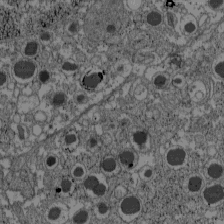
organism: C57BL Mouse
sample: Pancreatic islet